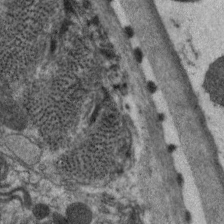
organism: C. elegans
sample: Pharynx